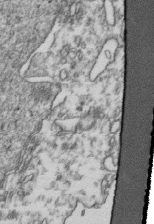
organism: Human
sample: Activated Jurkat CD4+ T cells